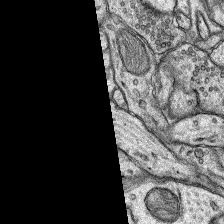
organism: Rat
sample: Hippocampus